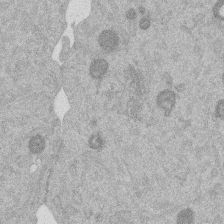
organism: Mouse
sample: Dividing mouse embryo 1 cell stage